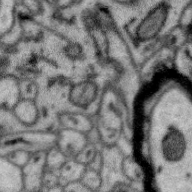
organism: Zebra finch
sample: Brain